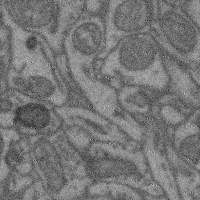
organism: Mouse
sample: Cerebral cortex